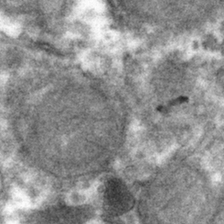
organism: Mouse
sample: Mouse hepatocytes